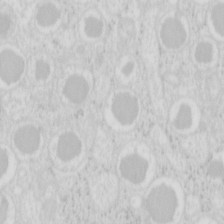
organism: Mouse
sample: Pancreas